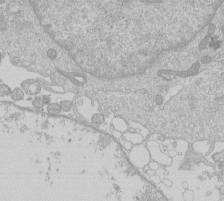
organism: Human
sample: Macrophage cells